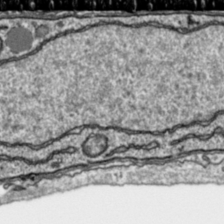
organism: Toxoplasma gondii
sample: Parasites in a vacuole inside a host cell